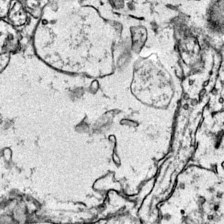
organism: Mouse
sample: Primary visual cortex